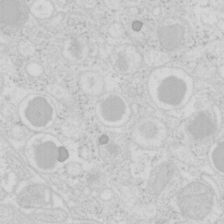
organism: Mouse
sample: Pancreas